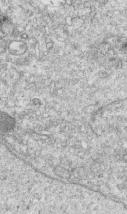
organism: Human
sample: HeLa cell HIV synapse